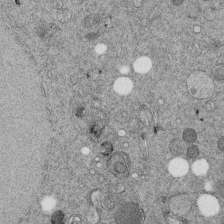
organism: C. elegans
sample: C. elegans embryo early stage